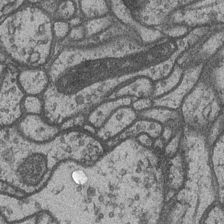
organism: Drosophila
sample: Optic medulla